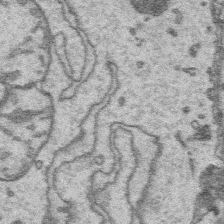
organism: Platynereis dumerilii